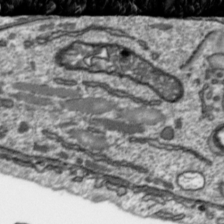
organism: Toxoplasma gondii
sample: Parasites in a vacuole inside a host cell